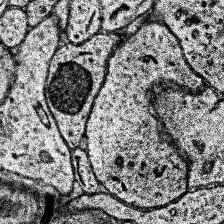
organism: Human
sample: Temporal Lobe